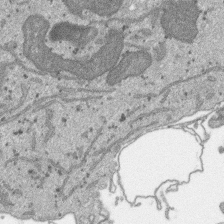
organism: Human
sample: Lung epithelial cells infected with SARS-CoV-2